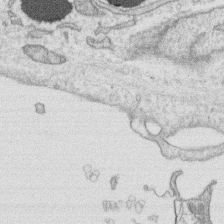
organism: Human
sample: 1205lu cells